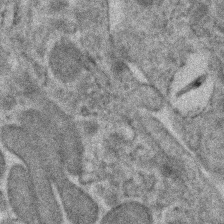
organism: Human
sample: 1205lu cells